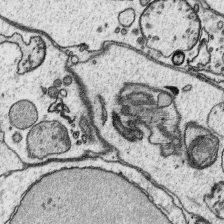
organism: Platynereis dumerilii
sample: Parapodia